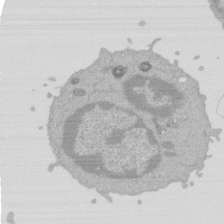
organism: Mouse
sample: Activated Pmel transgenic CD8+ T Cells